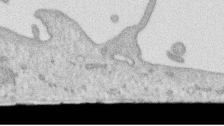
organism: Human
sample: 1205lu cells